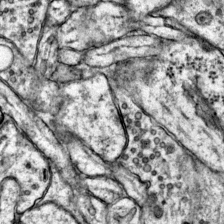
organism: Mouse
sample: Primary visual cortex